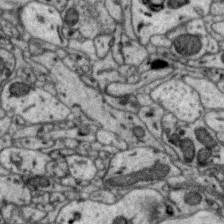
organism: Zebra finch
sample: Brain